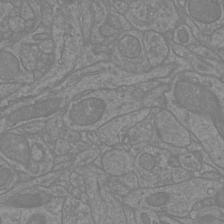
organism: Mouse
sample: Cortical neurons